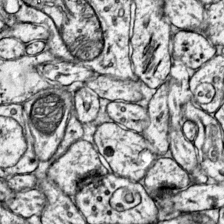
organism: Mouse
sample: Primary visual cortex